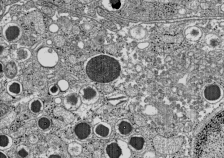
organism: C57BL Mouse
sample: Pancreatic islet